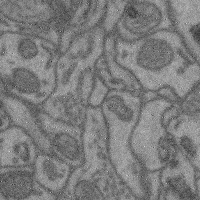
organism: Mouse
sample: Cerebral cortex